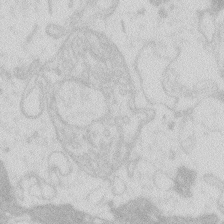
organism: Zebrafish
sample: Macrophage